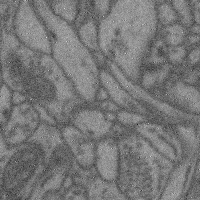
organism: Mouse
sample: Cerebral cortex